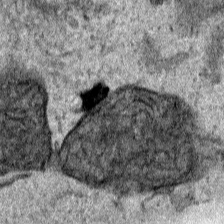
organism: Human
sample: Mitochondria in HCT116 cells